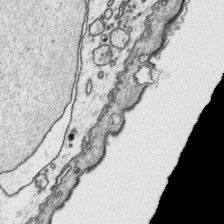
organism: Platynereis dumerilii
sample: Parapodia